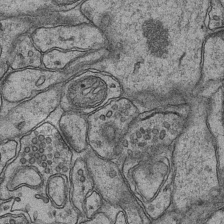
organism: Mouse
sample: CA1 Hippocampus